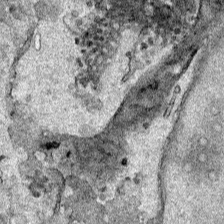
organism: Human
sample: Mitochondria in HCT116 cells